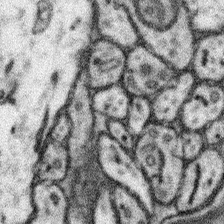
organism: Mouse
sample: Somatosensory cortex neuropil